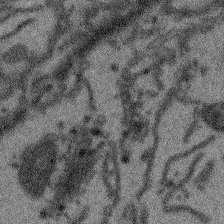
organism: Arabidopsis thaliana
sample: Root tip